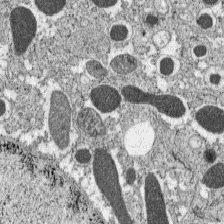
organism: C57BL Mouse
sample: Pancreatic islet